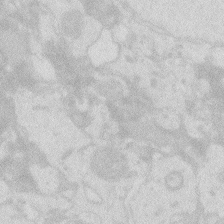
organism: Zebrafish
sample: Macrophage